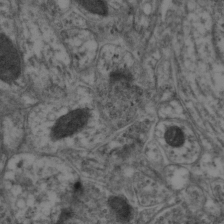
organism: Mouse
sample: Neocortex